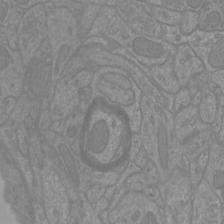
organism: Mouse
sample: Cortical neurons